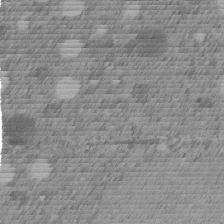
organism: C. elegans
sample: C. elegans embryo early stage